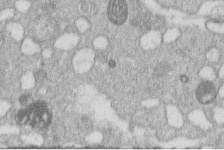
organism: Human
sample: Macrophage cells